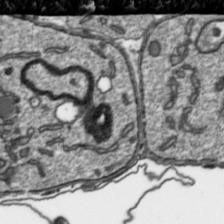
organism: Toxoplasma gondii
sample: Parasites in a vacuole inside a host cell